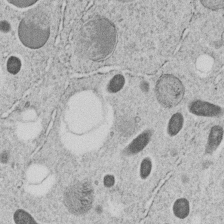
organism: C. elegans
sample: C. elegans embryo early stage